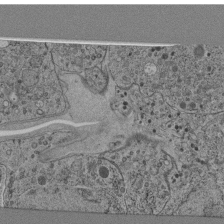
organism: C. elegans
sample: C. elegans pharynx